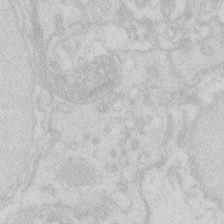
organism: Zebrafish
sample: Macrophage